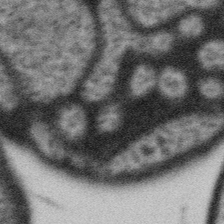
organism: Gemmata obscuriglobus